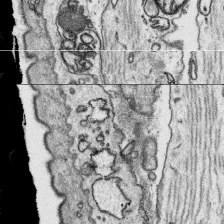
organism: Platynereis dumerilii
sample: Parapodia